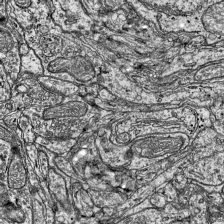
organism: Mouse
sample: Visual Cortex